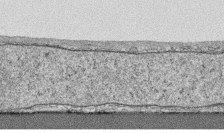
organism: Human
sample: CRL-1474